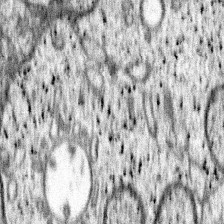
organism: Human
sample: HeLa cells